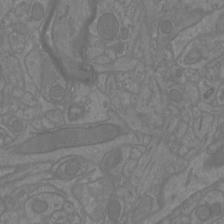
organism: Mouse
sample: Cortical neurons